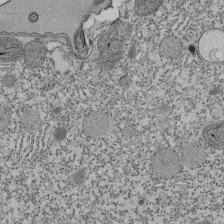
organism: Tetrahymena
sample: Cilia in tetrahymena